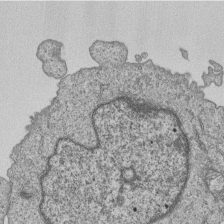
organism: Human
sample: MDA-MB-231 cells